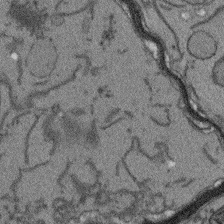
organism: Arabidopsis thaliana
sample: Root tip